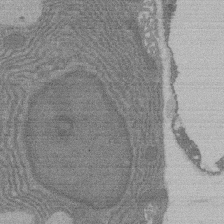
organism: Rat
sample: Salivary granule